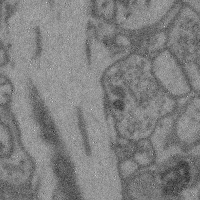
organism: Mouse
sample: Cerebral cortex